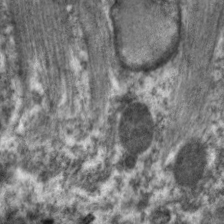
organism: C. elegans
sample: Pharynx